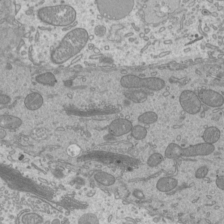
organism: Mouse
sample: Cilia; mouse epididymis